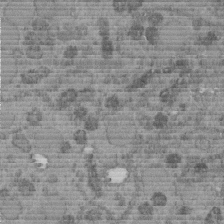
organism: C. elegans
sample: C. elegans embryo early stage